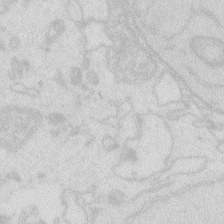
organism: Zebrafish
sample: Macrophage